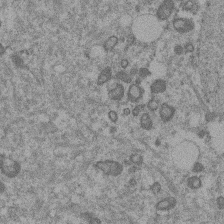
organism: Mouse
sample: Dividing mouse embryo 1 cell stage